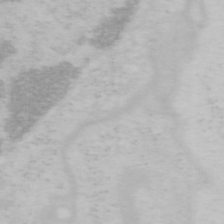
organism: Mouse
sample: OT-I killer T cells with ID8 ovarian cancer cells